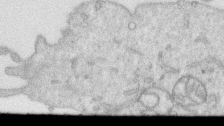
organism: Human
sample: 1205lu cells